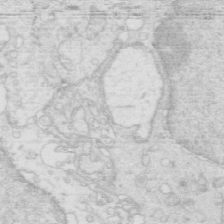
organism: Mouse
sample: Multiciliated cells